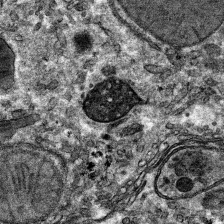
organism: Mouse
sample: Mouse hepatocytes